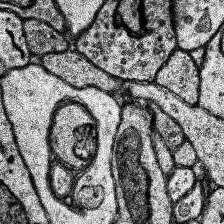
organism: Human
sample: Temporal Lobe